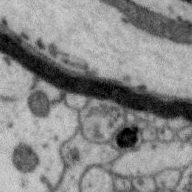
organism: Zebra finch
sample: Brain